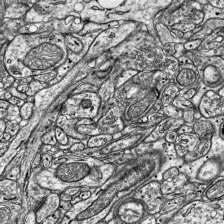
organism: Mouse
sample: Visual Cortex